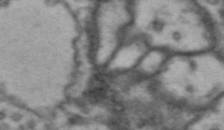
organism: Drosophila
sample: Brain